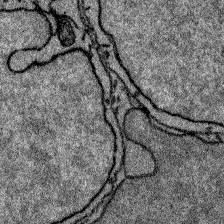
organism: Zebrafish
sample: Larval olfactory bulb